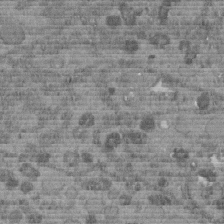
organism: C. elegans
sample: C. elegans embryo early stage